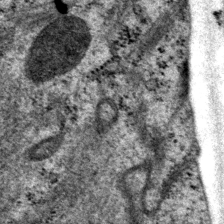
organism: P. pacificus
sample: Pharynx